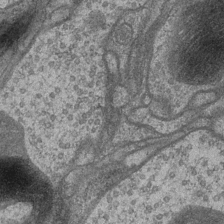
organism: Drosophila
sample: Optic medulla